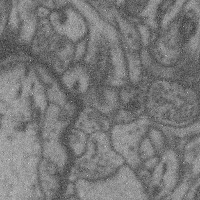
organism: Mouse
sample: Cerebral cortex